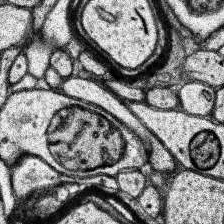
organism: Human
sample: Temporal Lobe